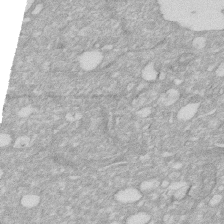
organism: Human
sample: HIV infected U937 cells